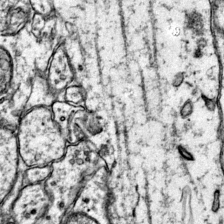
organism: Mouse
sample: Primary visual cortex